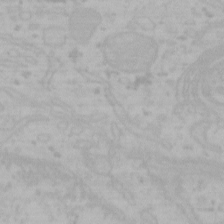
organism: Mouse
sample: Choroid plexus